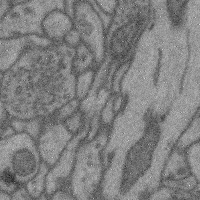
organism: Mouse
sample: Cerebral cortex